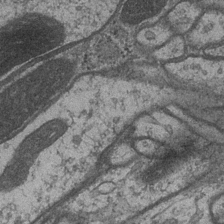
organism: Drosophila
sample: Optic medulla